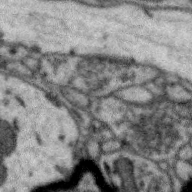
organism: Zebra finch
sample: Brain